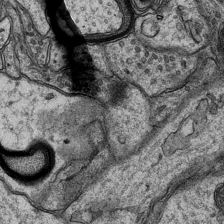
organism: Mouse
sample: CA1 Hippocampus